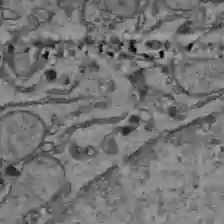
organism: C57BL Mouse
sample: Liver